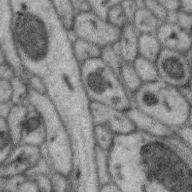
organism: Zebra finch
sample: Brain